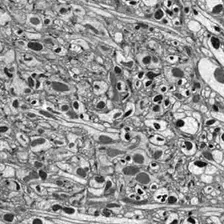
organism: Drosophila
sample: Optic lobe